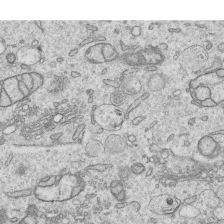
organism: Human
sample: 1205lu cells